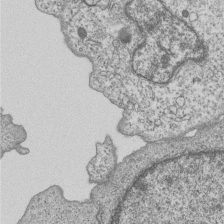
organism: Human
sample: MDA-MB-231 cells